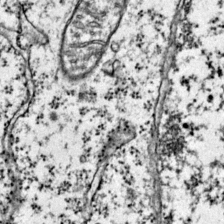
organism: Mouse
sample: Primary visual cortex